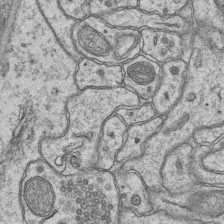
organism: Mouse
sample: CA1 Hippocampus